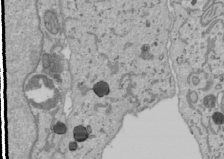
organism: Human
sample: Mitochondria in U2OS cells